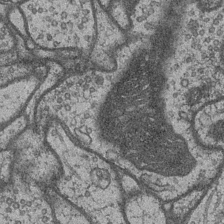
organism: Drosophila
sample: Optic medulla